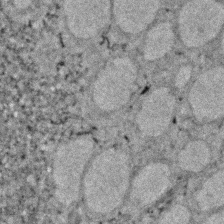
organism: Zebrafish